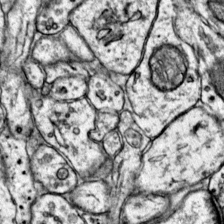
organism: Mouse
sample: Primary visual cortex